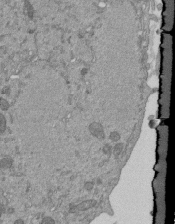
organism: Mouse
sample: ED-1 cell nuclei; centrioles